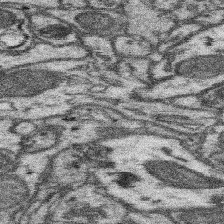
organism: Mouse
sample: Somatosensory cortex neuropil